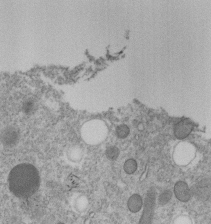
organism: C. elegans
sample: C. elegans embryo early stage